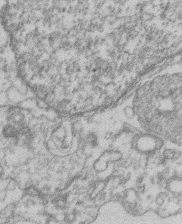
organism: Mouse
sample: T cell stromal cell synapse